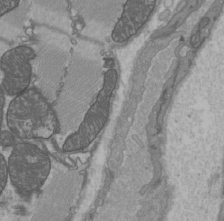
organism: C57BL Mouse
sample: Heart